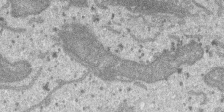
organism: Human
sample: Lung epithelial cells infected with SARS-CoV-2